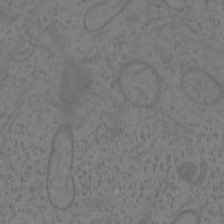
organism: Human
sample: HeLa cells